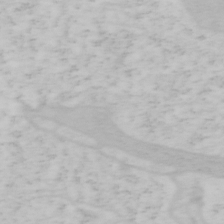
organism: Mouse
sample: OT-I killer T cells with ID8 ovarian cancer cells